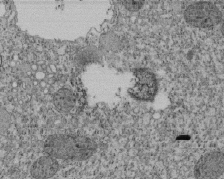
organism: Tetrahymena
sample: Cilia in tetrahymena